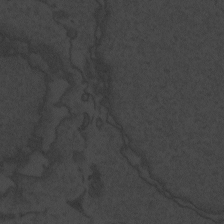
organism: Zebrafish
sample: Macrophage infected with Toxoplasma gondii